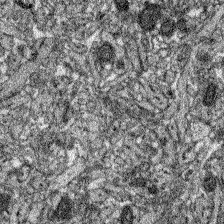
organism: Zebrafish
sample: Larval olfactory bulb